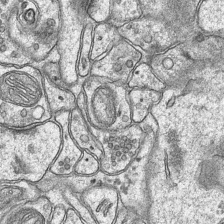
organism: Mouse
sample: CA1 Hippocampus